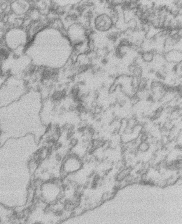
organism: Mouse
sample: T cell stromal cell synapse